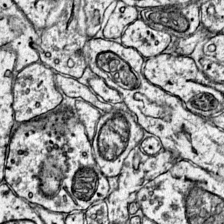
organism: Mouse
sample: Primary visual cortex